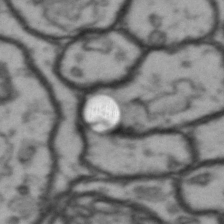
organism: Drosophila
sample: Brain